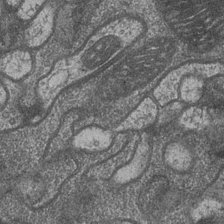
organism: Drosophila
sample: Optic medulla